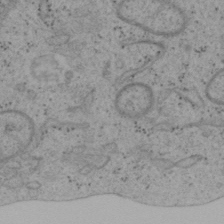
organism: Human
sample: HeLa cells